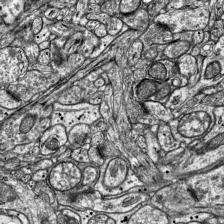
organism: Mouse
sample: Visual Cortex